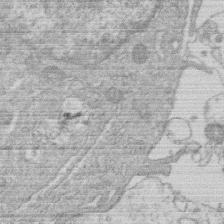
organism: Human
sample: Macrophage cells